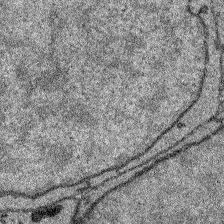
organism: Zebrafish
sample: Larval olfactory bulb